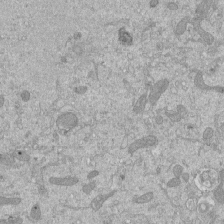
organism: Mouse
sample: ED-1 cell nuclei; centrioles